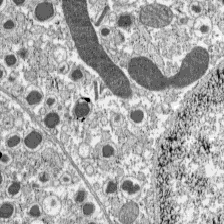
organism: C57BL Mouse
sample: Pancreatic islet